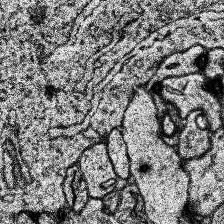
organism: Human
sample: Temporal Lobe